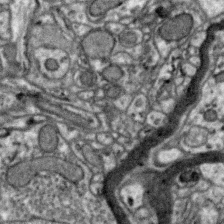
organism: Zebra finch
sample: Brain